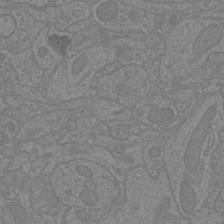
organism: Mouse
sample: Cortical neurons